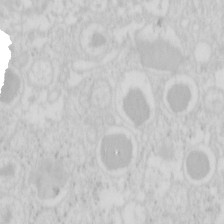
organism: Mouse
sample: Pancreas